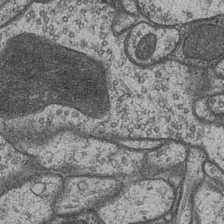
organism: Drosophila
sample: Optic medulla